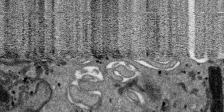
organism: Human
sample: Lung epithelial cells, uninfected (mock) control